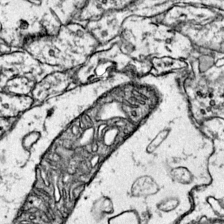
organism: Mouse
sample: Primary visual cortex